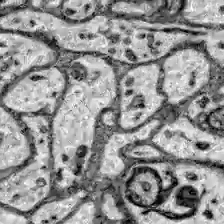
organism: Zebrafish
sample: Brain